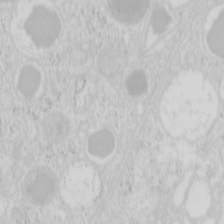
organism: Mouse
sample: Pancreas